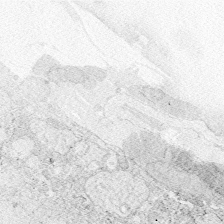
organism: Zebrafish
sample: Whole-Brain